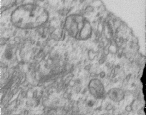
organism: Human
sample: Centriole in RPE cells